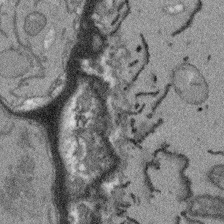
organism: Arabidopsis thaliana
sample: Root tip